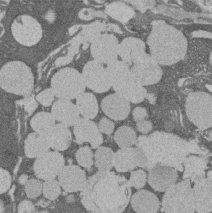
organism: Rat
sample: Salivary granule